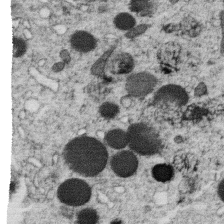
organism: C. elegans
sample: C. elegans oocyte; sperm cells